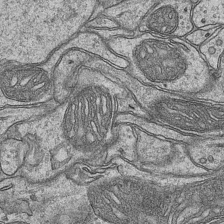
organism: Mouse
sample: CA1 Hippocampus